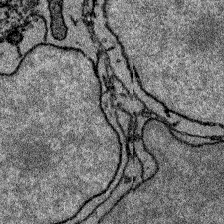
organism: Zebrafish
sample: Larval olfactory bulb